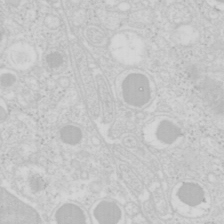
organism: Mouse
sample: Pancreas